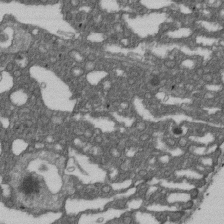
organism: Drosophila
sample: Nephrocyte